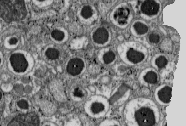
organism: C57BL Mouse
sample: Pancreatic islet